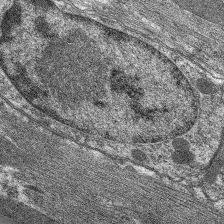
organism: C. elegans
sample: Pharynx